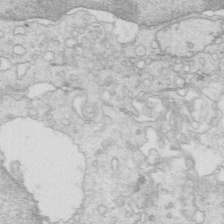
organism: Mouse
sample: Multiciliated cells